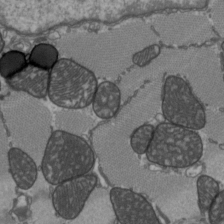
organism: C57BL Mouse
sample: Heart